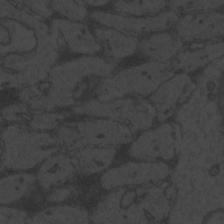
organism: Zebrafish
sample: Macrophage infected with Toxoplasma gondii